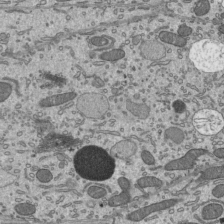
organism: Mouse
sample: Mouse epididymis efferent ductule cilia